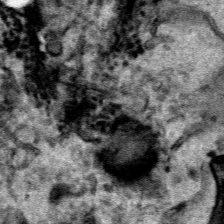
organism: Human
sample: Mitochondria in HCT116 cells